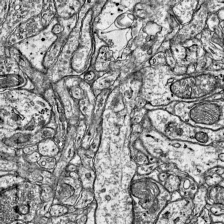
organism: Mouse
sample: Visual Cortex